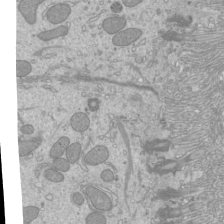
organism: Mouse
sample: Cilia; mouse epididymis